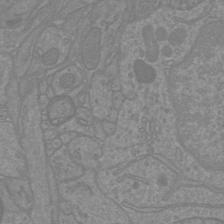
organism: Mouse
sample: Cortical neurons